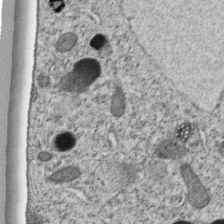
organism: C. elegans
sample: C. elegans embryo early stage